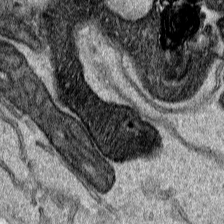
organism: Human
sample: Mitochondria in HCT116 cells